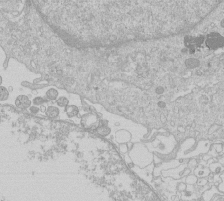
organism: Human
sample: Macrophage cells